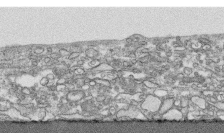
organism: Human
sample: CRL-1474